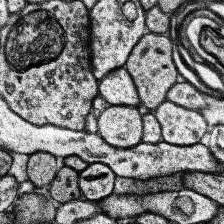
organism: Human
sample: Temporal Lobe